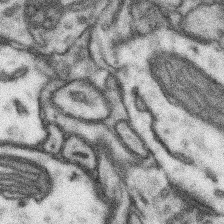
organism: Mouse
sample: Somatosensory cortex neuropil